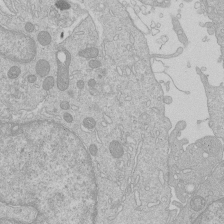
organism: Human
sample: Macrophage cells